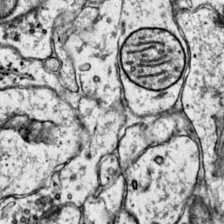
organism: Mouse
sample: Primary visual cortex